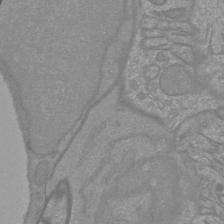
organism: Mouse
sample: Cortical neurons